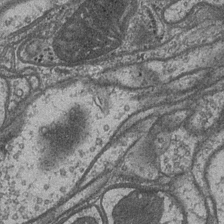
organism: Drosophila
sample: Optic medulla